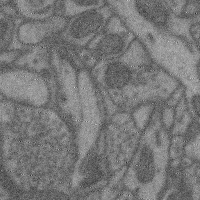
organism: Mouse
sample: Cerebral cortex